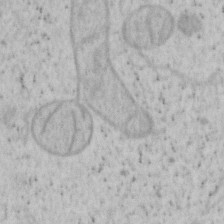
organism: Human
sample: HeLa cells